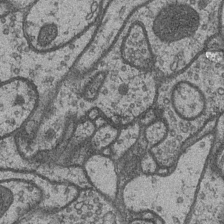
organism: Drosophila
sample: Optic medulla